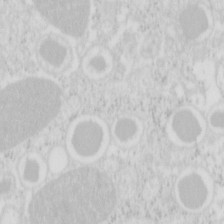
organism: Mouse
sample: Pancreas